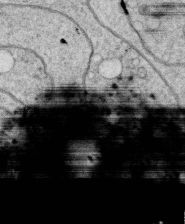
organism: C. elegans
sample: C. elegans oocyte; sperm cells